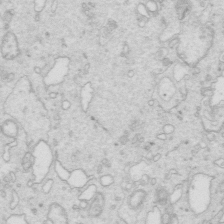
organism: Mouse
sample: Multiciliated cells